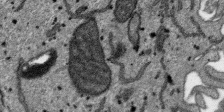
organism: Human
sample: Lung epithelial cells, uninfected (mock) control